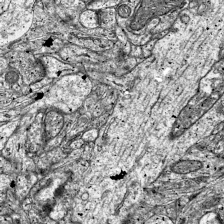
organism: Mouse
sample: Visual Cortex